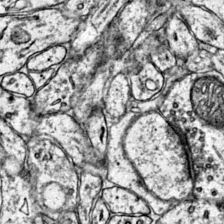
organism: Mouse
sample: Primary visual cortex